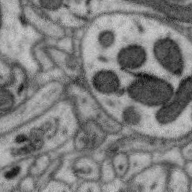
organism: Zebra finch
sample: Brain